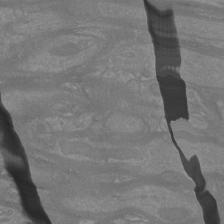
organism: Mouse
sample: Cortical neurons